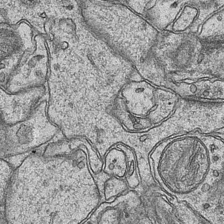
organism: Mouse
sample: CA1 Hippocampus